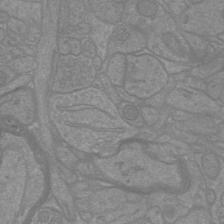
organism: Mouse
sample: Cortical neurons